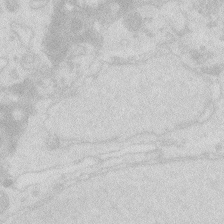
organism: Zebrafish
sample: Macrophage